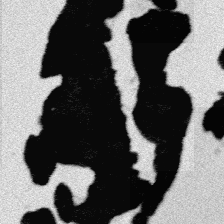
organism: Platynereis dumerilii